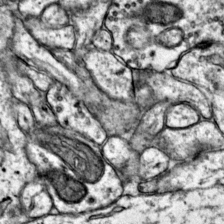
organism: Mouse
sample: Primary visual cortex